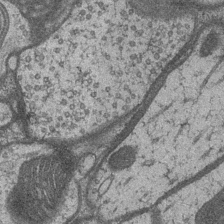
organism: Drosophila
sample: Optic medulla